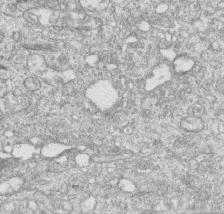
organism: Human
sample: HeLa cell HIV synapse